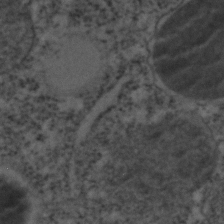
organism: C. elegans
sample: C. elegans embryo